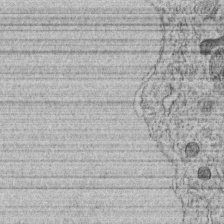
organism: C. elegans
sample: C. elegans embryo early stage